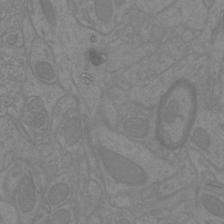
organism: Mouse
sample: Cortical neurons